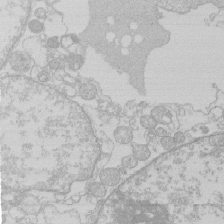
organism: Human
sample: Macrophage cells